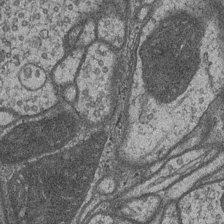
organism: Drosophila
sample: Optic medulla